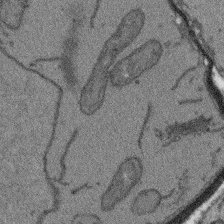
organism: Arabidopsis thaliana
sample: Root tip